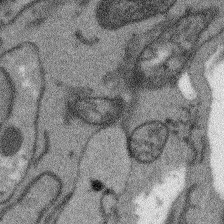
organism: Arabidopsis thaliana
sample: Root tip